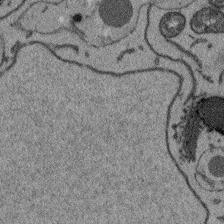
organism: Arabidopsis thaliana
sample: Root tip